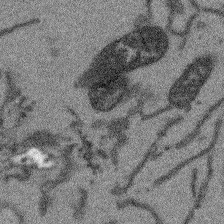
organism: Arabidopsis thaliana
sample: Root tip